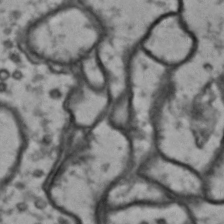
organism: Drosophila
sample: Brain